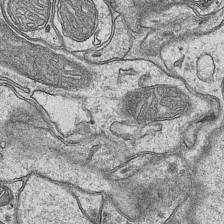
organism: Mouse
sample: CA1 Hippocampus